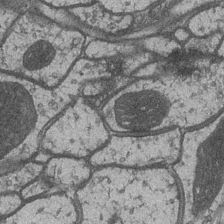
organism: Drosophila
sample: Optic medulla